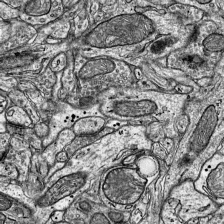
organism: Mouse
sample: Visual Cortex